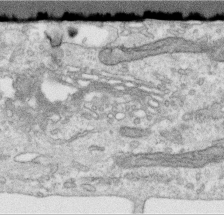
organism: Human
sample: Centriole in RPE cells